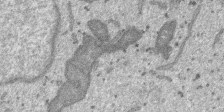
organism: Human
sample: Lung epithelial cells infected with SARS-CoV-2